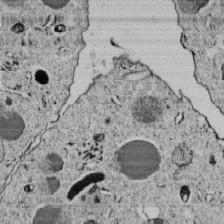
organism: C. elegans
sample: C. elegans embryo early stage